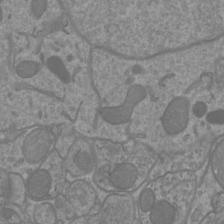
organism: Mouse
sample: Cortical neurons